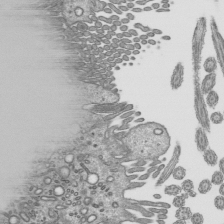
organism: Mouse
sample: Mouse epididymis efferent ductule cilia